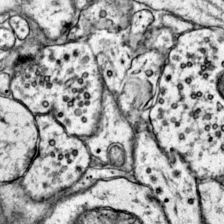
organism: Mouse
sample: Primary visual cortex